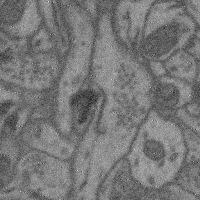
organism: Mouse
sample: Cerebral cortex